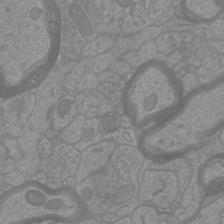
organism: Mouse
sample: Cortical neurons